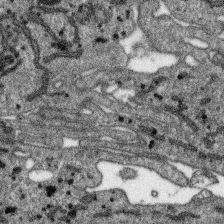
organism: Human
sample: Lung epithelial cells infected with SARS-CoV-2